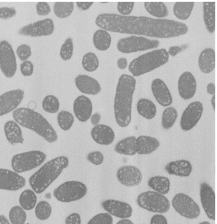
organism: E. coli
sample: Bacterial nucleoid